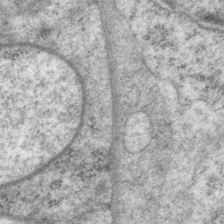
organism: P. pacificus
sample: Pharynx